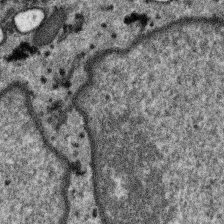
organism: Human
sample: Lung epithelial cells infected with SARS-CoV-2